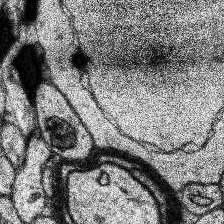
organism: Human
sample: Temporal Lobe